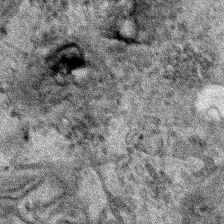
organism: Human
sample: Mitochondria in HCT116 cells